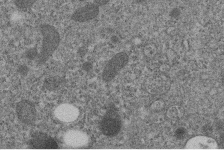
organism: C. elegans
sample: C. elegans embryo early stage